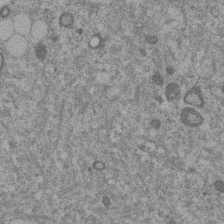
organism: Mouse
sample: Dividing mouse embryo 1 cell stage